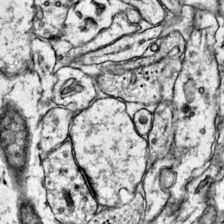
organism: Mouse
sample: Primary visual cortex